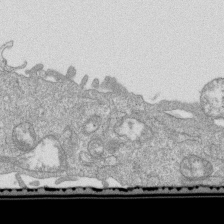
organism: Human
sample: HeLa cell HIV synapse